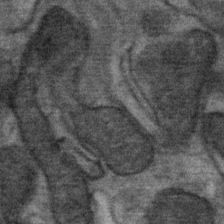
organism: Mouse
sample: Mouse Salivary gland